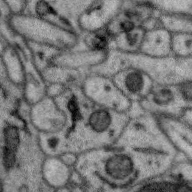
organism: Zebra finch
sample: Brain